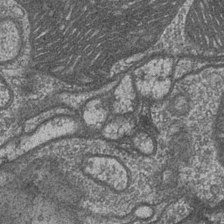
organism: Drosophila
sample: Optic medulla